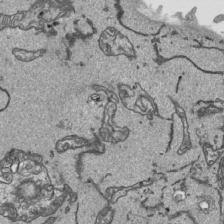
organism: Human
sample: Mitochondria in HCT116 cells